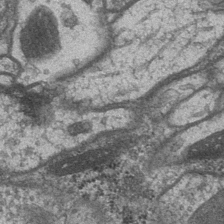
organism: Drosophila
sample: Optic medulla